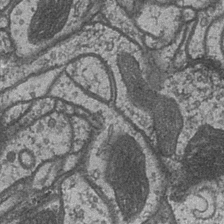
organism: Drosophila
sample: Optic medulla